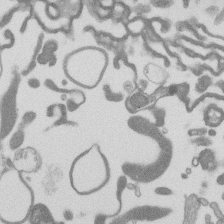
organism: Mouse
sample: Dividing mouse embryo 1 cell stage